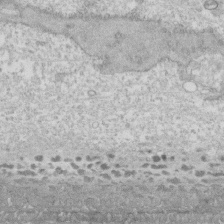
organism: Human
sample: CRL-1474